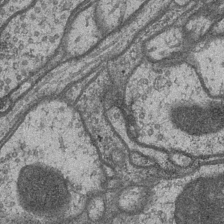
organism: Drosophila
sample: Optic medulla